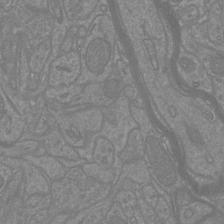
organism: Mouse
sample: Cortical neurons